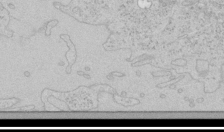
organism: Human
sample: Mitochondria in HCT116 cells